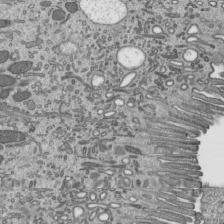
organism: Mouse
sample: Mouse epididymis efferent ductule cilia